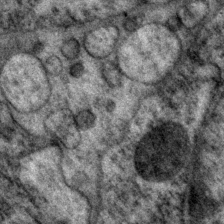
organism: P. pacificus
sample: Pharynx